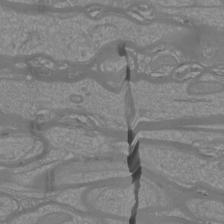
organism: Mouse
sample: Cortical neurons